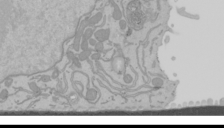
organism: Mouse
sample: Cancer cell death in ED-1 cells